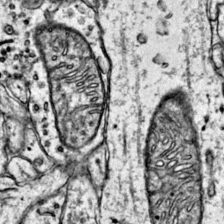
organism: Mouse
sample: Primary visual cortex